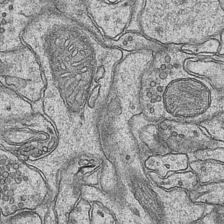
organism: Mouse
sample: CA1 Hippocampus